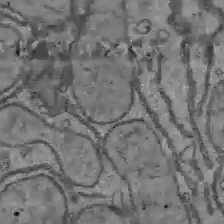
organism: C57BL Mouse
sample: Liver